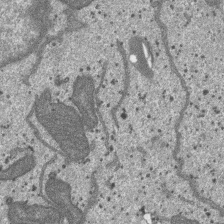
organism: Human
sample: Lung epithelial cells infected with SARS-CoV-2